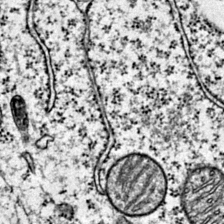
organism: Mouse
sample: Primary visual cortex